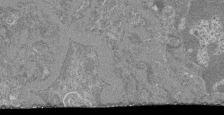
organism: Mouse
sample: Glomerulus